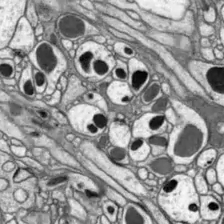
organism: Drosophila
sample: Optic lobe